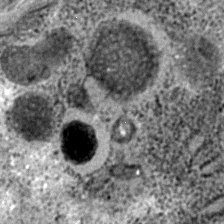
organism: C. elegans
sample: C. elegans embryo